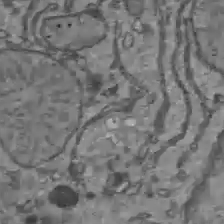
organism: C57BL Mouse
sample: Liver